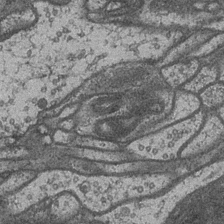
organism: Drosophila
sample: Optic medulla